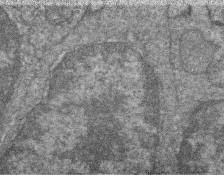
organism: Zebrafish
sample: Cilia; retinal pigment epithelium